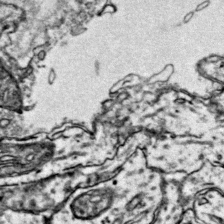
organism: Mouse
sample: Primary visual cortex